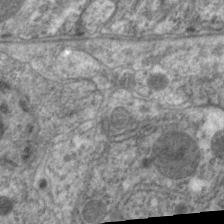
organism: C. elegans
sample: Pharynx